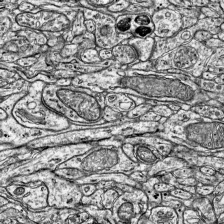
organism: Mouse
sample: Visual Cortex